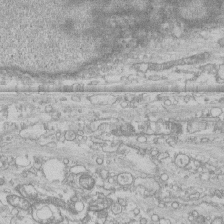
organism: Human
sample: CRL-1474